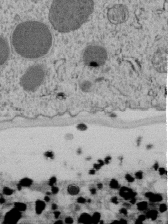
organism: C. elegans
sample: C. elegans embryo early stage